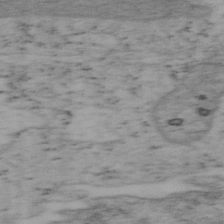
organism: Mouse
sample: OT-I killer T cells with ID8 ovarian cancer cells